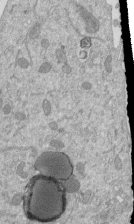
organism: Mouse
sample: ED-1 cell nuclei; centrioles